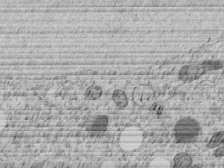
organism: C. elegans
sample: C. elegans embryo early stage